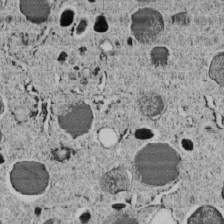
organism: C. elegans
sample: C. elegans embryo early stage